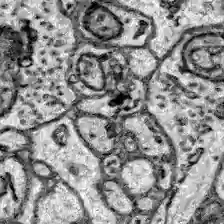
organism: Zebrafish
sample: Brain